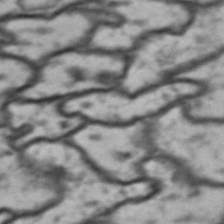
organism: Drosophila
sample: Brain